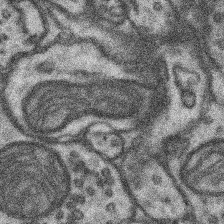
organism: Mouse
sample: Somatosensory cortex neuropil